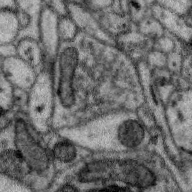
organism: Zebra finch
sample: Brain